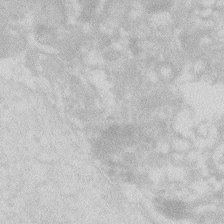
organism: Zebrafish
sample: Macrophage